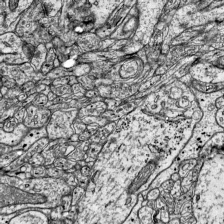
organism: Mouse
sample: Visual Cortex